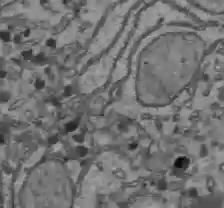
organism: C57BL Mouse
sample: Liver